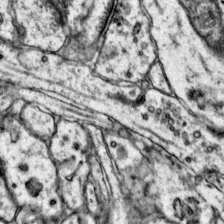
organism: Mouse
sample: Primary visual cortex